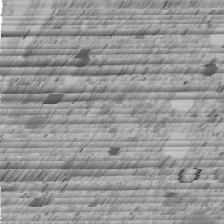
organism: C. elegans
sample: C. elegans embryo early stage